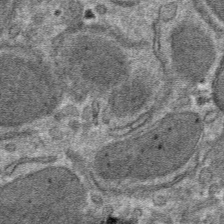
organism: Mouse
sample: Mouse hepatocytes